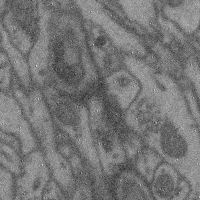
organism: Mouse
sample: Cerebral cortex